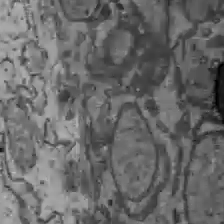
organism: C57BL Mouse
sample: Liver